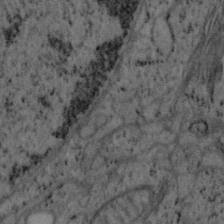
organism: Human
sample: HeLa cells